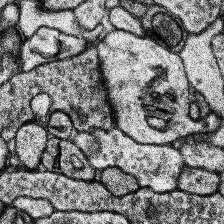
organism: Human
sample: Temporal Lobe